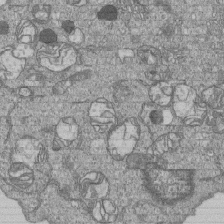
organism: Human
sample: MDA-MB-231 cells